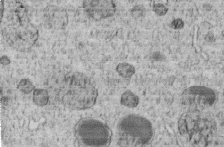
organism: C. elegans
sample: C. elegans embryo early stage